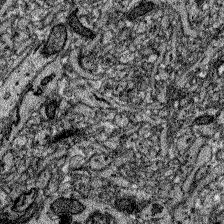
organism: Zebrafish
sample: Larval olfactory bulb